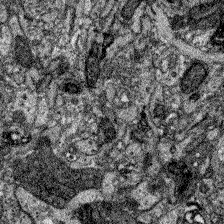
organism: Zebrafish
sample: Larval olfactory bulb